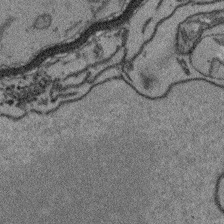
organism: Arabidopsis thaliana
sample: Root tip